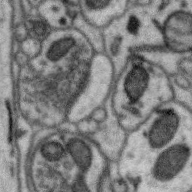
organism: Zebra finch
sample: Brain